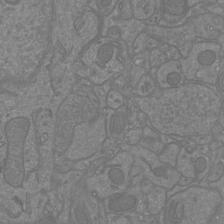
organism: Mouse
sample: Cortical neurons